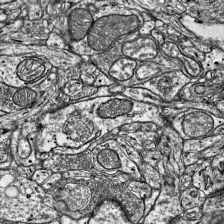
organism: Mouse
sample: Visual Cortex